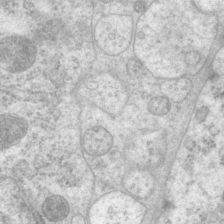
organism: P. pacificus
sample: Pharynx